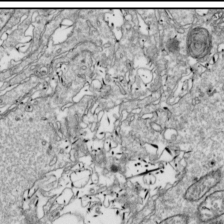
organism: Drosophila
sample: Cell division; meiosis; drosophila spermatocytes